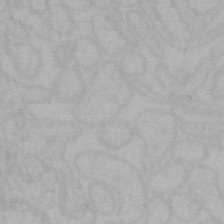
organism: Mouse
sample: Choroid plexus